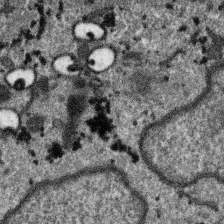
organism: Human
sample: Lung epithelial cells infected with SARS-CoV-2